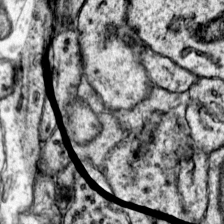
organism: Mouse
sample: Primary visual cortex